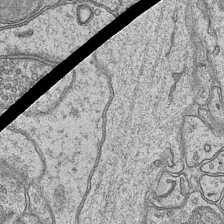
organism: Mouse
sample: CA1 Hippocampus